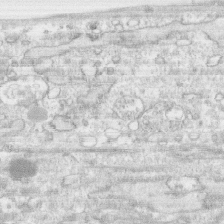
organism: Human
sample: CRL-1474